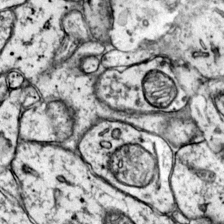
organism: Mouse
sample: Primary visual cortex